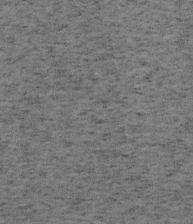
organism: Mouse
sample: OT-I killer T cells with ID8 ovarian cancer cells